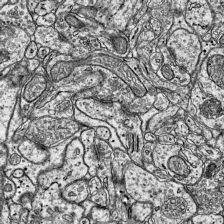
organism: Mouse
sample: Visual Cortex